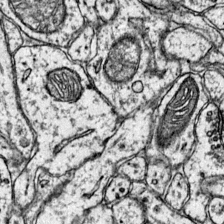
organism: Mouse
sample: Primary visual cortex